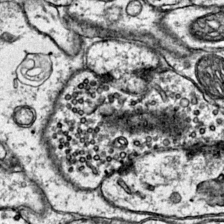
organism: Mouse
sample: Primary visual cortex